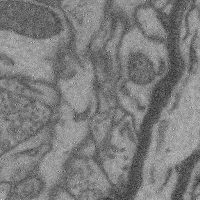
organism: Mouse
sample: Cerebral cortex